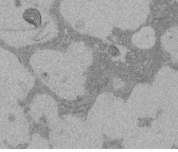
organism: Rat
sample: Salivary granule